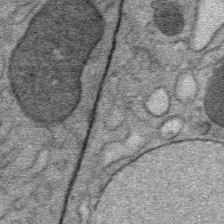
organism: Mouse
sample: Mouse Salivary gland